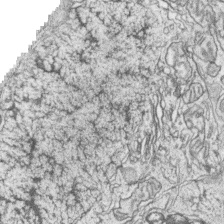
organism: Zebrafish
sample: synaptic ribbons in rod cells and cone cells